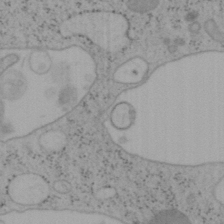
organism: Mouse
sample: OT-I killer T cells with ID8 ovarian cancer cells